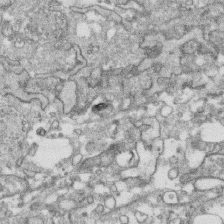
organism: Human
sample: CRL-1474